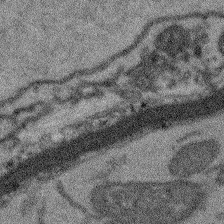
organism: Arabidopsis thaliana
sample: Root tip